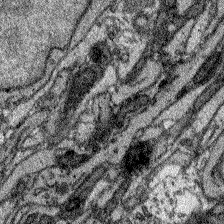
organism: Zebrafish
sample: Larval olfactory bulb